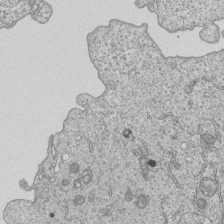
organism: Human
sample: MDA-MB-231 cells